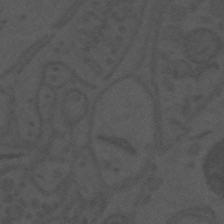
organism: Mouse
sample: Suprachiasmatic nucleus